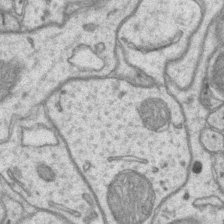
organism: Mouse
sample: CA1 Hippocampus